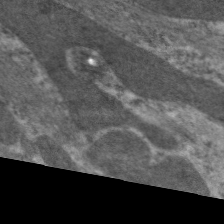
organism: C. elegans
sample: Pharynx